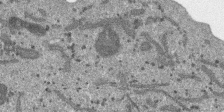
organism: Human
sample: Lung epithelial cells infected with SARS-CoV-2